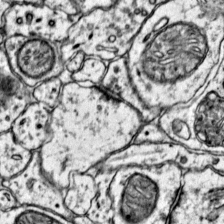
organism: Mouse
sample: Primary visual cortex